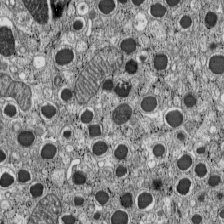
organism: C57BL Mouse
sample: Pancreatic islet